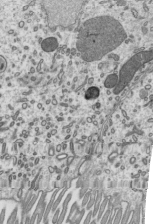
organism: Mouse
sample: Mouse epididymis efferent ductule cilia